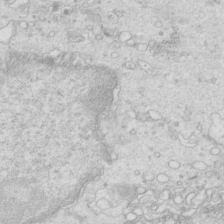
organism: Mouse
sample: Multiciliated cells